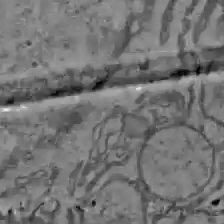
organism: C57BL Mouse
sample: Liver